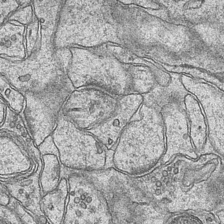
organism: Mouse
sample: CA1 Hippocampus